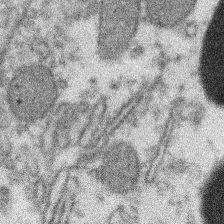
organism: Xenopus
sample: Cilia; centrioles in frog embryo cells